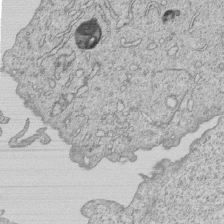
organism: Human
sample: MDA-MB-231 cells